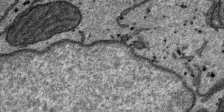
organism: Human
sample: Lung epithelial cells, uninfected (mock) control